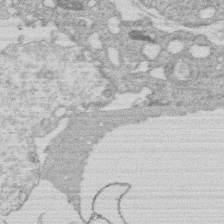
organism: Human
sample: Macrophage cells